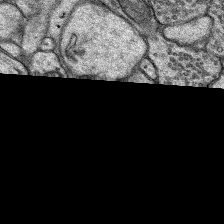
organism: Rat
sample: Hippocampus